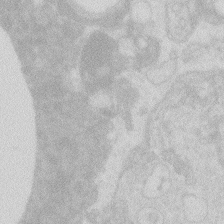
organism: Zebrafish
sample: Macrophage